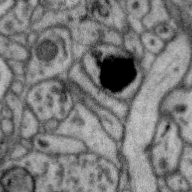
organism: Zebra finch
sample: Brain